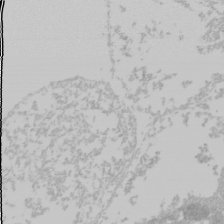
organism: Mouse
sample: Cancer cell death in ED-1 cells